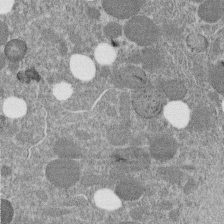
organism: C. elegans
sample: C. elegans embryo early stage